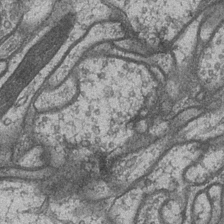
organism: Drosophila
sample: Optic medulla